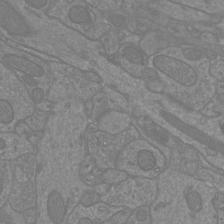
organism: Mouse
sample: Cortical neurons